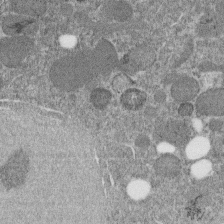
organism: C. elegans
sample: C. elegans embryo early stage